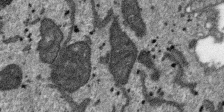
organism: Human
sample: Lung epithelial cells, uninfected (mock) control